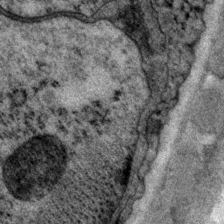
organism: P. pacificus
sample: Pharynx